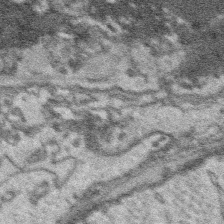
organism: Platynereis dumerilii